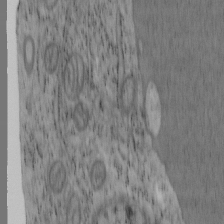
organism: Human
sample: HeLa cells